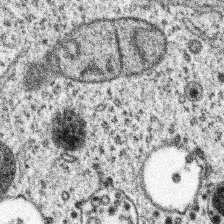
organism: Human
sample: HeLa cells